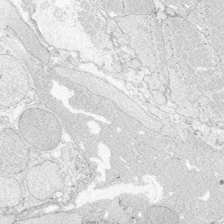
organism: Zebrafish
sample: Whole-Brain